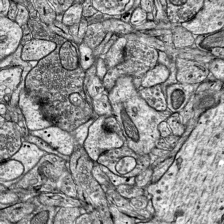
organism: Mouse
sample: Visual Cortex